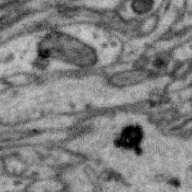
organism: Zebra finch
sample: Brain